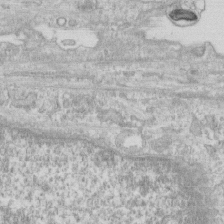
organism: Human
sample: CRL-1474